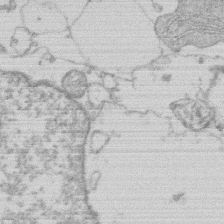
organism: Human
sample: Macrophage cells